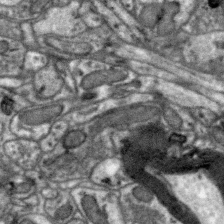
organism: Zebra finch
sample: Brain